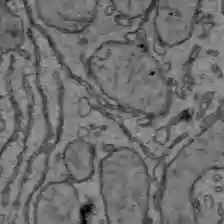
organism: C57BL Mouse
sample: Liver